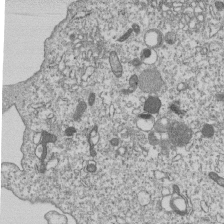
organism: Human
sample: MDA-MB-231 cells